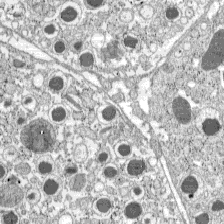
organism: C57BL Mouse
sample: Pancreatic islet